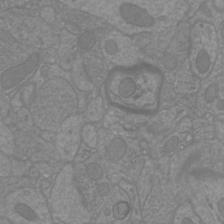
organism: Mouse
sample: Cortical neurons